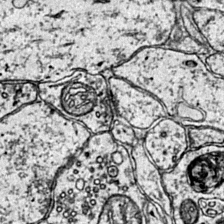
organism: Mouse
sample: Primary visual cortex